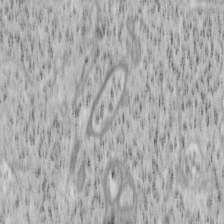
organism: Human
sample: HeLa cells